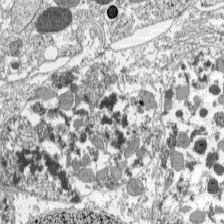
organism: C57BL Mouse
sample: Pancreatic islet